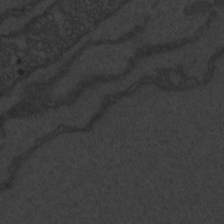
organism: Zebrafish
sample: Macrophage infected with Toxoplasma gondii